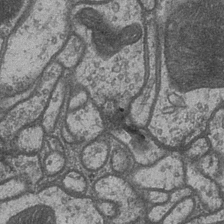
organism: Drosophila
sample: Optic medulla